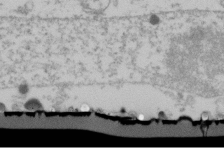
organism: Human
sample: U2-OS cells